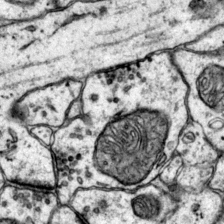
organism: Mouse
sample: Primary visual cortex